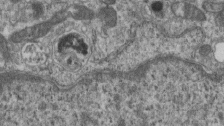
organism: Mouse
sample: Centriole in ependymal cells